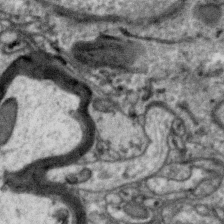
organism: Zebra finch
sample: Brain